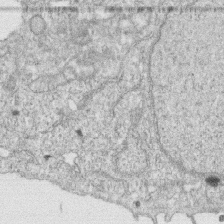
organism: Human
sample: HeLa cell HIV synapse